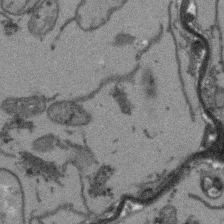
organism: Arabidopsis thaliana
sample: Root tip